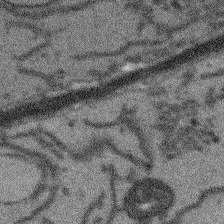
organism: Arabidopsis thaliana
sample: Root tip